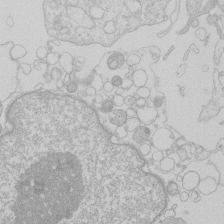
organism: Human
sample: Macrophage cells